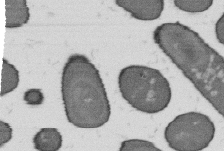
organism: B. subtilis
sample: Bacterial spore